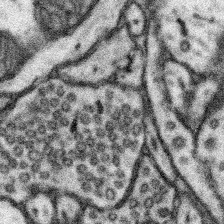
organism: Mouse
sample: Somatosensory cortex neuropil